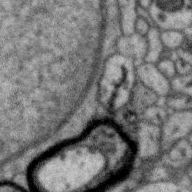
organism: Zebra finch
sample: Brain